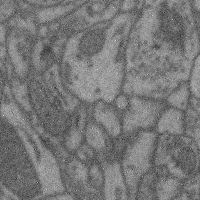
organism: Mouse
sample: Cerebral cortex